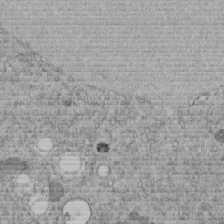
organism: C. elegans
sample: C. elegans embryo early stage